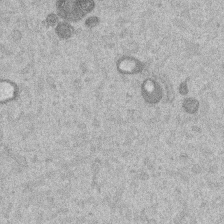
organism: Mouse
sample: Dividing mouse embryo 1 cell stage